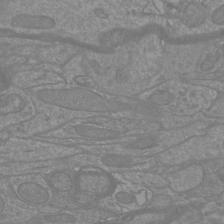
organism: Mouse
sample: Cortical neurons